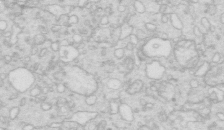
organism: Mouse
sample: Multiciliated cells